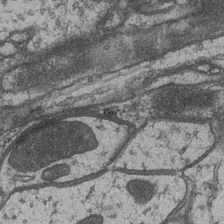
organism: Drosophila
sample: Optic medulla